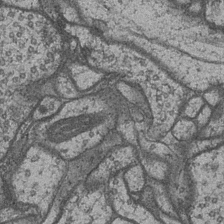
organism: Drosophila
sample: Optic medulla